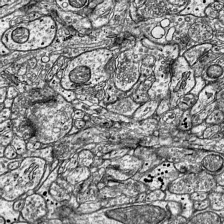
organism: Mouse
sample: Visual Cortex